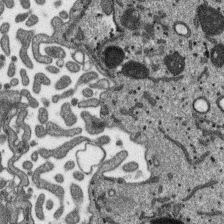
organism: Human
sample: Lung epithelial cells infected with SARS-CoV-2